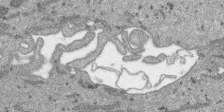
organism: Human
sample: Lung epithelial cells infected with SARS-CoV-2